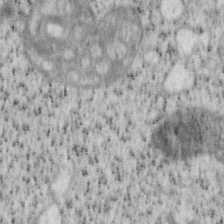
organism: Mouse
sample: OT-I killer T cells with ID8 ovarian cancer cells